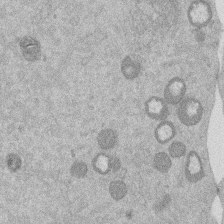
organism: Mouse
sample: Dividing mouse embryo 1 cell stage